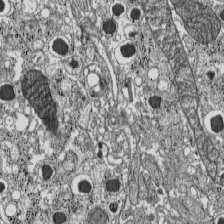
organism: C57BL Mouse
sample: Pancreatic islet